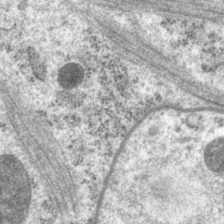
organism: P. pacificus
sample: Pharynx